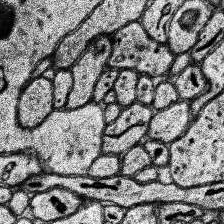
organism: Human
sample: Temporal Lobe